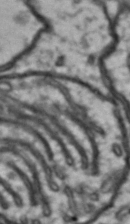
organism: Drosophila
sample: Brain